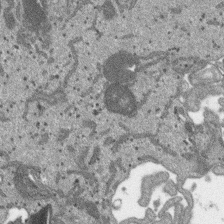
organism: Human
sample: Lung epithelial cells infected with SARS-CoV-2